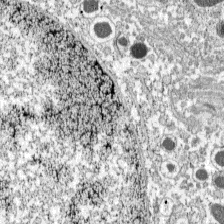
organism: C57BL Mouse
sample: Pancreatic islet